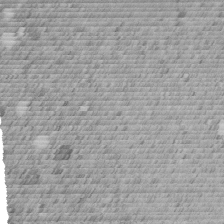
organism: C. elegans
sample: C. elegans embryo early stage